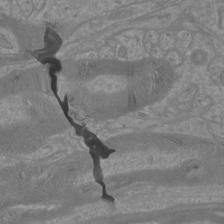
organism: Mouse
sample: Cortical neurons